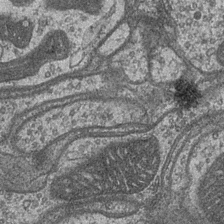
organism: Drosophila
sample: Optic medulla